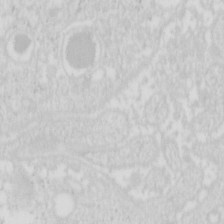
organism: Mouse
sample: Pancreas